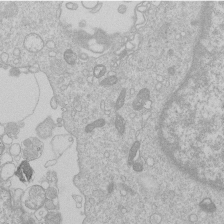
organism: Human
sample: Macrophage cells